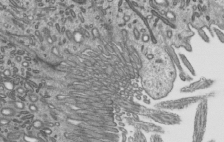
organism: Mouse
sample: Mouse epididymis efferent ductule cilia